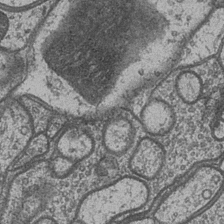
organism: Drosophila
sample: Optic medulla